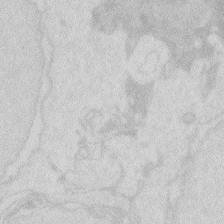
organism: Zebrafish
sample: Macrophage